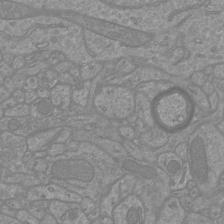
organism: Mouse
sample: Cortical neurons